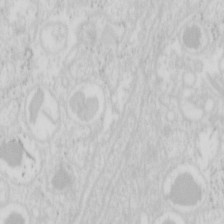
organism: Mouse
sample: Pancreas